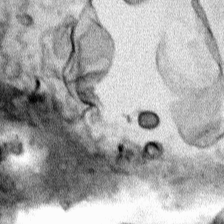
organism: Human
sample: Mitochondria in HCT116 cells